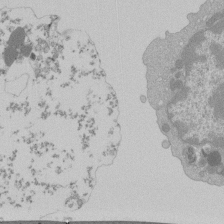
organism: Mouse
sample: Activated Pmel transgenic CD8+ T Cells